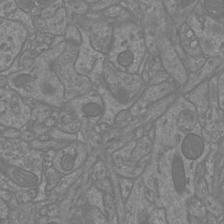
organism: Mouse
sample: Cortical neurons